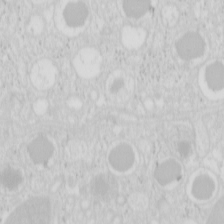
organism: Mouse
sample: Pancreas